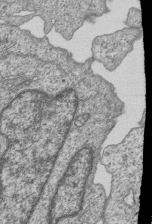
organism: Human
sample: MDA-MB-231 cells